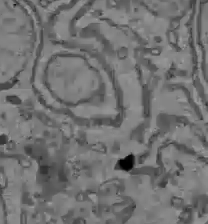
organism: C57BL Mouse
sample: Liver